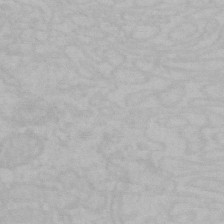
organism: Mouse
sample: Choroid plexus